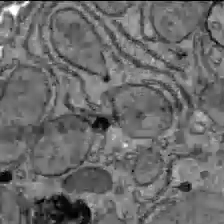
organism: C57BL Mouse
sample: Liver